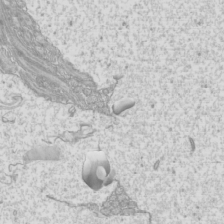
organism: Mouse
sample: Cilia; mouse epididymis